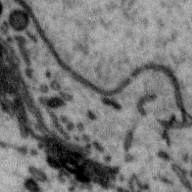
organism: Zebra finch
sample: Brain